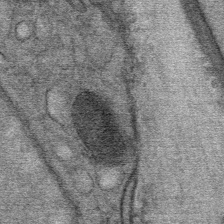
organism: Mouse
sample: Mouse Salivary gland